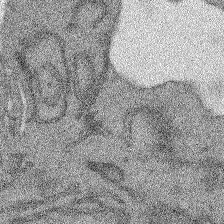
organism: Human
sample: HeLa cells